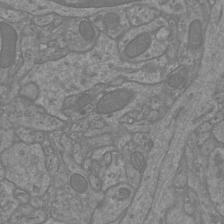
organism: Mouse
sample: Cortical neurons